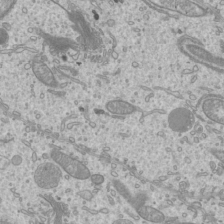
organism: Mouse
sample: Cilia; mouse epididymis